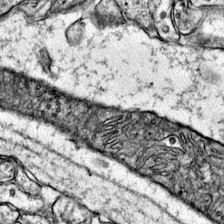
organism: Mouse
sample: Primary visual cortex